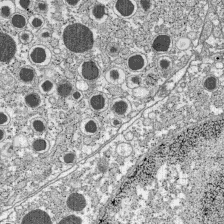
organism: C57BL Mouse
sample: Pancreatic islet